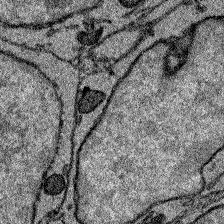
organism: Zebrafish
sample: Larval olfactory bulb